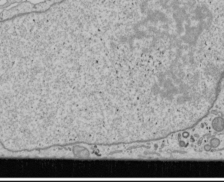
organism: Human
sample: Mitochondria in U2OS cells